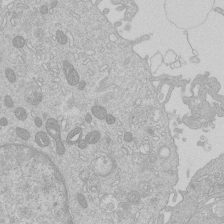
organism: Human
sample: Macrophage cells